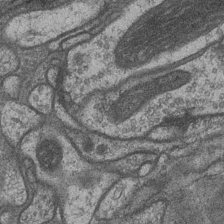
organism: Drosophila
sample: Optic medulla